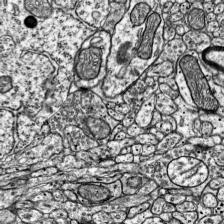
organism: Mouse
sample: Visual Cortex